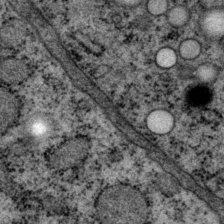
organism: P. pacificus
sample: Pharynx